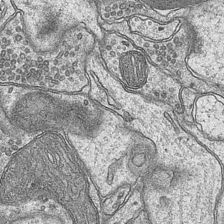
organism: Mouse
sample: CA1 Hippocampus